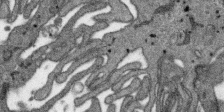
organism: Human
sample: Lung epithelial cells, uninfected (mock) control